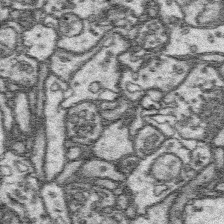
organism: Platynereis dumerilii